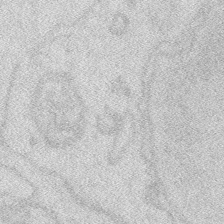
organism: Zebrafish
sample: Macrophage